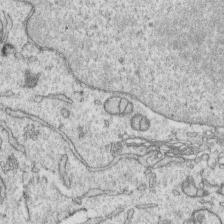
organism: Human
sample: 1205lu cells